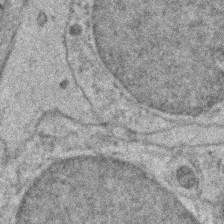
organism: Zebrafish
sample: Zebrafish embryo